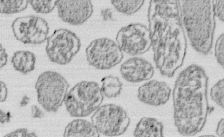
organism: E. coli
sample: Bacterial nucleoid